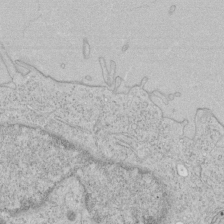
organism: Human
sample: Mitochondria in HCT116 cells